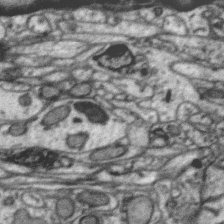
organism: Zebra finch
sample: Brain